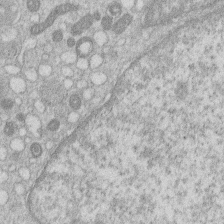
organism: Human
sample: Macrophage cells